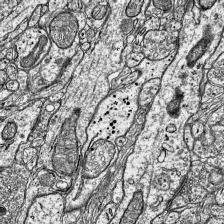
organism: Mouse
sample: Visual Cortex